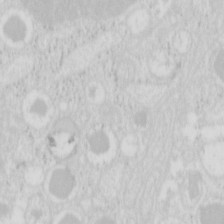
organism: Mouse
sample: Pancreas